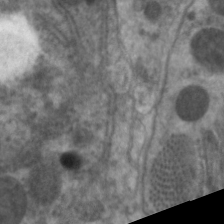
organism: C. elegans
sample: Pharynx